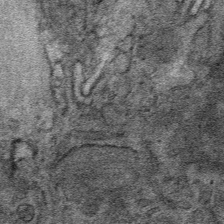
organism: Mouse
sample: Mouse Salivary gland